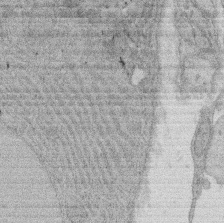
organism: Rat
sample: Salivary granule